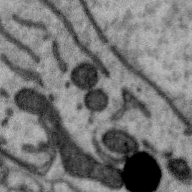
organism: Zebra finch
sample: Brain